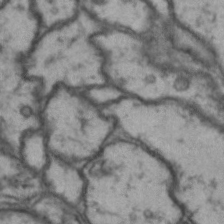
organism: Drosophila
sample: Brain